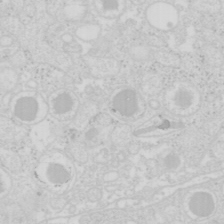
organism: Mouse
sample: Pancreas